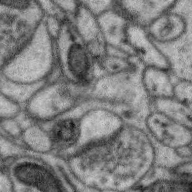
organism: Zebra finch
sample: Brain